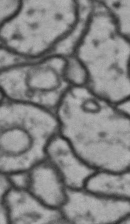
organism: Drosophila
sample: Brain